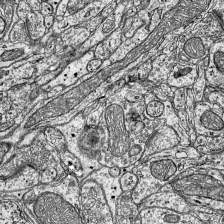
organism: Mouse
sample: Visual Cortex